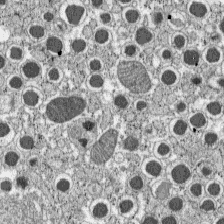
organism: C57BL Mouse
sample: Pancreatic islet